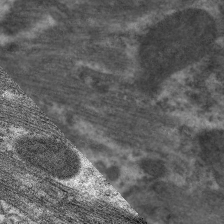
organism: C. elegans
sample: Pharynx